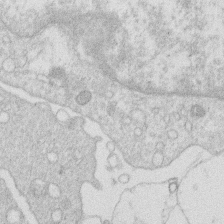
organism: Human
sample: Macrophage cells